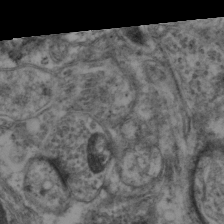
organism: Mouse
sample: Neocortex